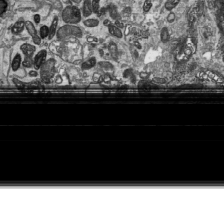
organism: Human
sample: Mitochondria in HCT116 cells